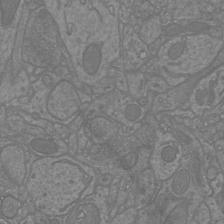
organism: Mouse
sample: Cortical neurons